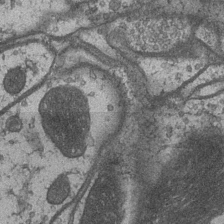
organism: Drosophila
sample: Optic medulla